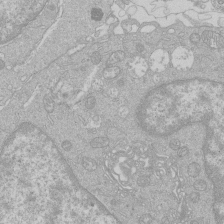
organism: Human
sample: Macrophage cells